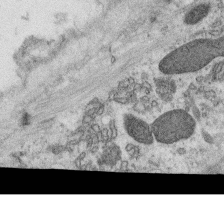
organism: C. elegans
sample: C. elegans oocyte; sperm cells